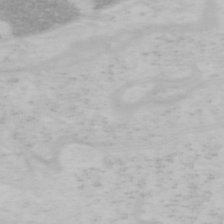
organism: Mouse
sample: OT-I killer T cells with ID8 ovarian cancer cells